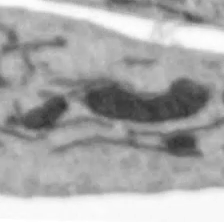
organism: Human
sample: SH-SY5Y cells